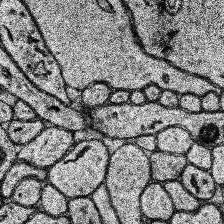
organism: Human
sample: Temporal Lobe